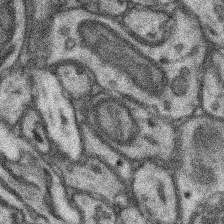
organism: Mouse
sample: Somatosensory cortex neuropil